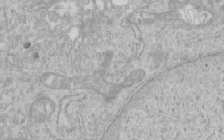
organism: Human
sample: Centriole in RPE cells